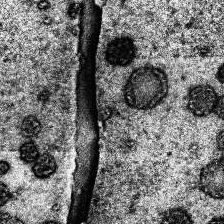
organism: Human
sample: Temporal Lobe